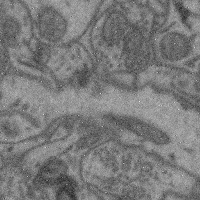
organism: Mouse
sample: Cerebral cortex